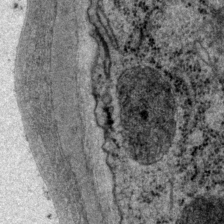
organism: P. pacificus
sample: Pharynx